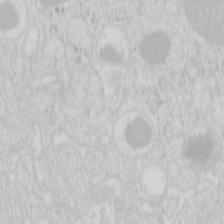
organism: Mouse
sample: Pancreas